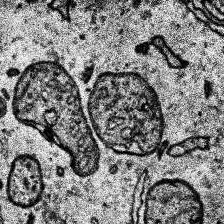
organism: Human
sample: Temporal Lobe